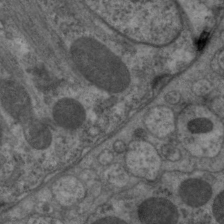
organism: C. elegans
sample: Pharynx